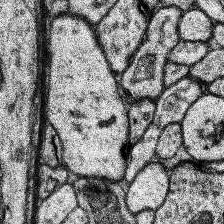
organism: Human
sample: Temporal Lobe